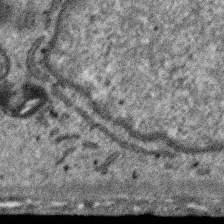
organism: Human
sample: Lung epithelial cells infected with SARS-CoV-2